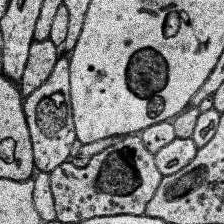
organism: Human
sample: Temporal Lobe